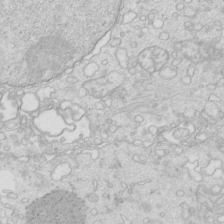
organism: Mouse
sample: Multiciliated cells